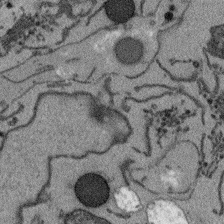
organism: Arabidopsis thaliana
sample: Root tip